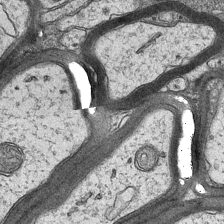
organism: Mouse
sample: CA1 Hippocampus